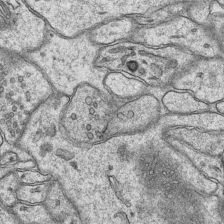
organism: Mouse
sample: CA1 Hippocampus